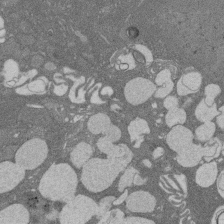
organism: Rat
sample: Salivary granule